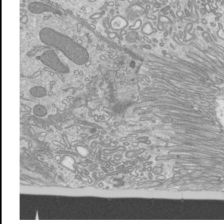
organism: Mouse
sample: Cilia; mouse epididymis